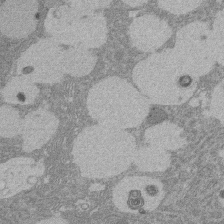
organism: Rat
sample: Salivary granule